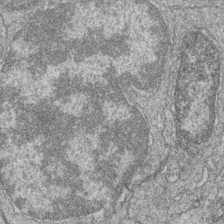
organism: Zebrafish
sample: Cilia; retinal pigment epithelium